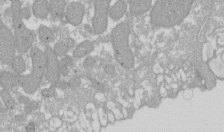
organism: Xenopus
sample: Cilia; centrioles in frog embryo cells